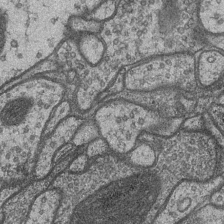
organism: Drosophila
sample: Optic medulla